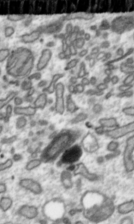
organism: Toxoplasma gondii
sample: Parasites in a vacuole inside a host cell